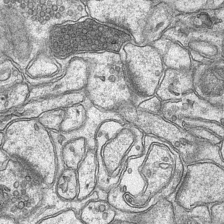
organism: Mouse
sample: CA1 Hippocampus